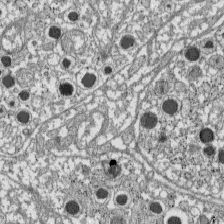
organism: C57BL Mouse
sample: Pancreatic islet